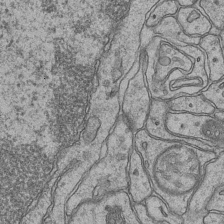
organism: Mouse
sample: CA1 Hippocampus